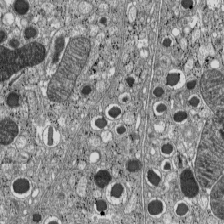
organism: C57BL Mouse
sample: Pancreatic islet